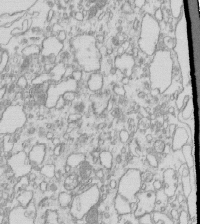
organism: Mouse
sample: Macrophages